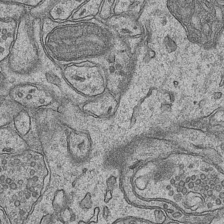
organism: Mouse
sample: CA1 Hippocampus